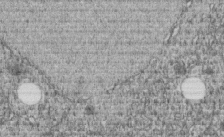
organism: C. elegans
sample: C. elegans embryo early stage